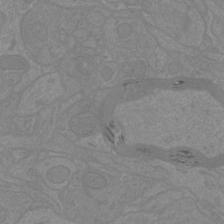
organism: Mouse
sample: Cortical neurons